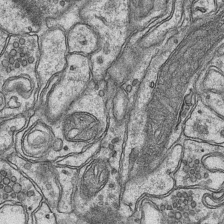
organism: Mouse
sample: CA1 Hippocampus